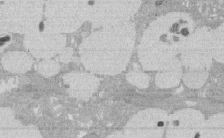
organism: Rat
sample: Salivary granule